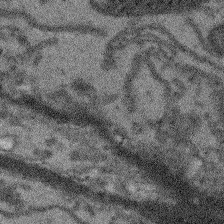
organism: Arabidopsis thaliana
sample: Root tip